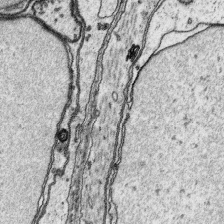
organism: Platynereis dumerilii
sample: Parapodia